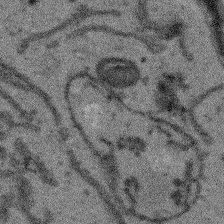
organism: Arabidopsis thaliana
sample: Root tip